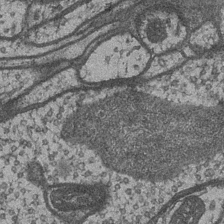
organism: Drosophila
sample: Optic medulla